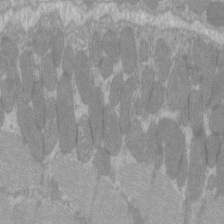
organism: C57BL Mouse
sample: Tibialis anterior muscle cell